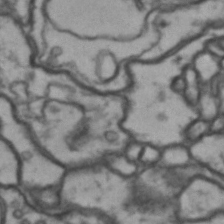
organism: Drosophila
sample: Brain